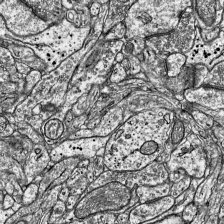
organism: Mouse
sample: Visual Cortex